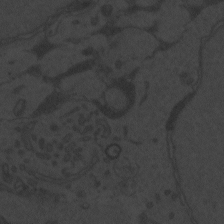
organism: Zebrafish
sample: Macrophage infected with Toxoplasma gondii